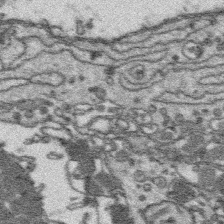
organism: Platynereis dumerilii